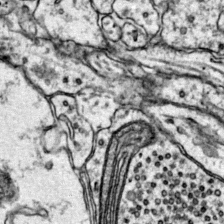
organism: Mouse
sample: Primary visual cortex